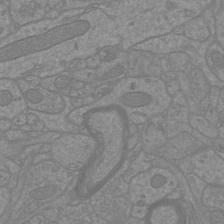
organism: Mouse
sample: Cortical neurons